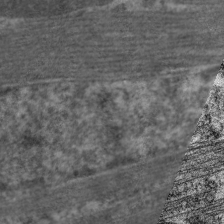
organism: C. elegans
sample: Pharynx